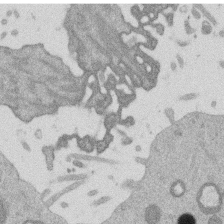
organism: Mouse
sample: Dividing mouse embryo 1 cell stage